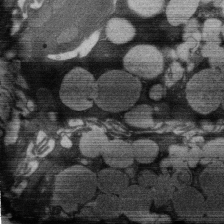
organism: Rat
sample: Salivary granule